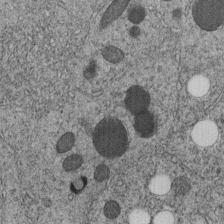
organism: C. elegans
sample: C. elegans embryo early stage